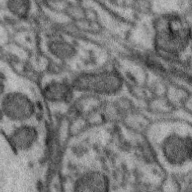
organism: Zebra finch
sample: Brain